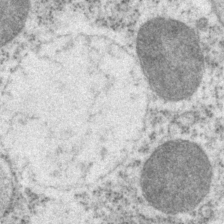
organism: P. pacificus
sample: Pharynx